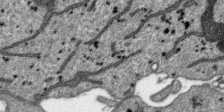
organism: Human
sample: Lung epithelial cells, uninfected (mock) control